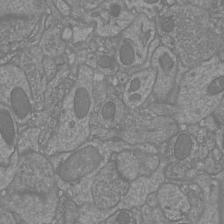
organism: Mouse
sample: Cortical neurons